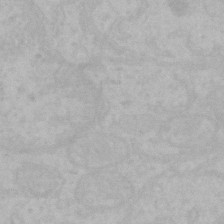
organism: Mouse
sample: Choroid plexus